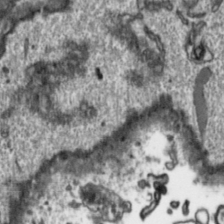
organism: Toxoplasma gondii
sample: Parasites in a vacuole inside a host cell